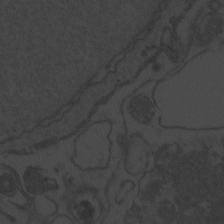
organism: Zebrafish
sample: Macrophage infected with Toxoplasma gondii